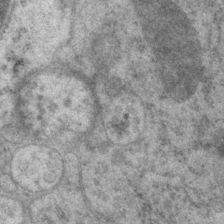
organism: P. pacificus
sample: Pharynx